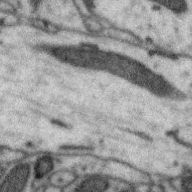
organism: Zebra finch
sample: Brain